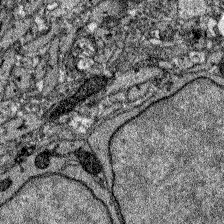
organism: Zebrafish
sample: Larval olfactory bulb